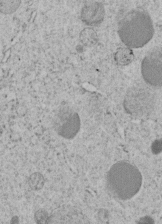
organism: C. elegans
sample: C. elegans embryo early stage